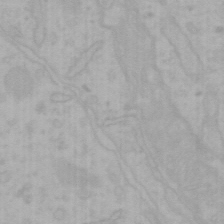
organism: Mouse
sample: Choroid plexus